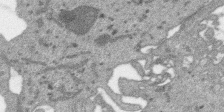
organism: Human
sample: Lung epithelial cells infected with SARS-CoV-2